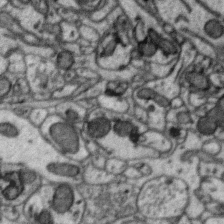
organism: Zebra finch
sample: Brain